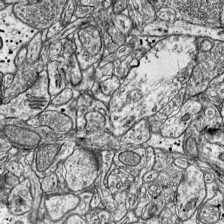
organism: Mouse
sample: Visual Cortex